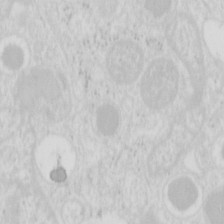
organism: Mouse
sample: Pancreas